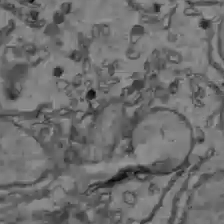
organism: C57BL Mouse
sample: Liver